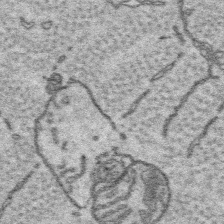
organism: Platynereis dumerilii